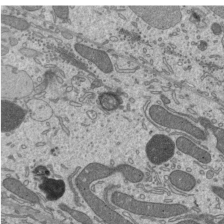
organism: Mouse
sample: Mouse epididymis efferent ductule cilia